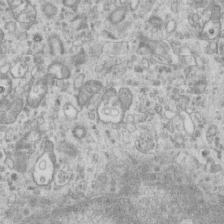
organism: Mouse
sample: Centriole in ependymal cells